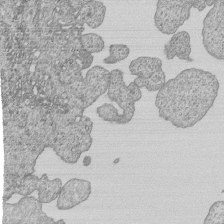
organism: Human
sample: MDA-MB-231 cells